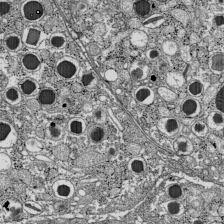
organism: C57BL Mouse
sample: Pancreatic islet